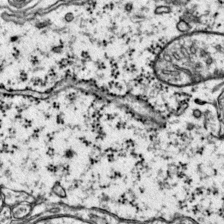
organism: Mouse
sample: Primary visual cortex